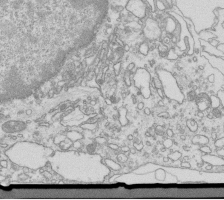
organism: Mouse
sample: Macrophages